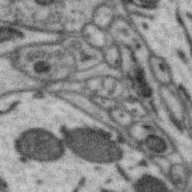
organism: Zebra finch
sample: Brain